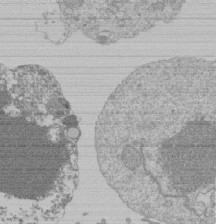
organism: Mouse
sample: Activated Pmel transgenic CD8+ T Cells